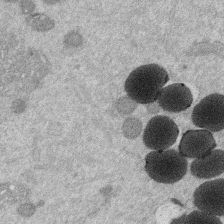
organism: Mouse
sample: Dividing mouse embryo 1 cell stage